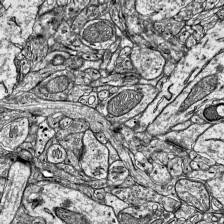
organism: Mouse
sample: Visual Cortex